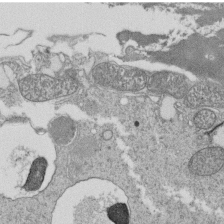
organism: Tetrahymena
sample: Cilia in tetrahymena